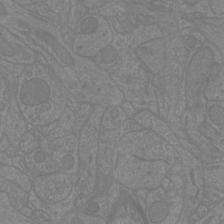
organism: Mouse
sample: Cortical neurons